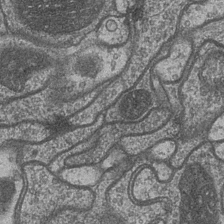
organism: Drosophila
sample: Optic medulla